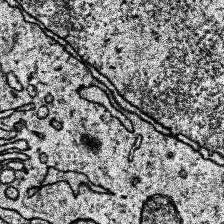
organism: Human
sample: Temporal Lobe